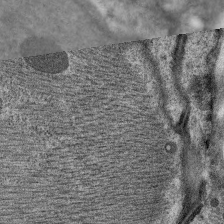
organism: C. elegans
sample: Pharynx